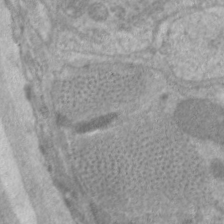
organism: C. elegans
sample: Pharynx